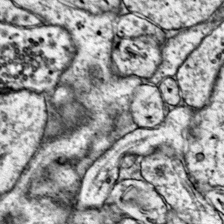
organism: Mouse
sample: Primary visual cortex